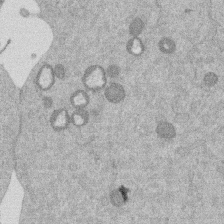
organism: Mouse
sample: Dividing mouse embryo 1 cell stage